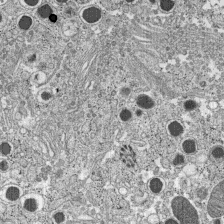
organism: C57BL Mouse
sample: Pancreatic islet